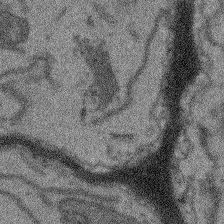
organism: Arabidopsis thaliana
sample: Root tip